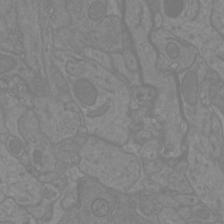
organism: Mouse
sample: Cortical neurons